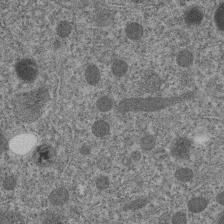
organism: C. elegans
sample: C. elegans embryo early stage